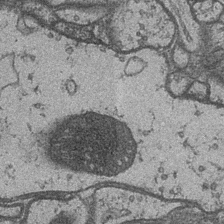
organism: Drosophila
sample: Optic medulla